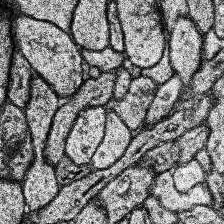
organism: Human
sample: Temporal Lobe